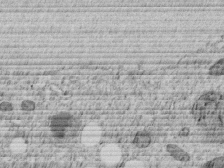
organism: C. elegans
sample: C. elegans embryo early stage